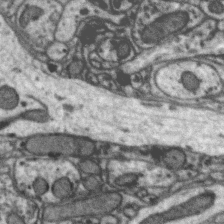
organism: Zebra finch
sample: Brain